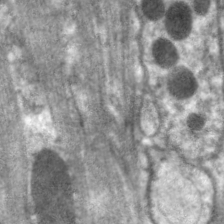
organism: C. elegans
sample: Pharynx